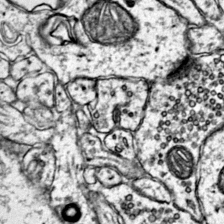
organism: Mouse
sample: Primary visual cortex